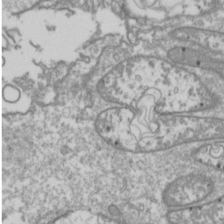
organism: Drosophila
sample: Cell division; meiosis; drosophila spermatocytes